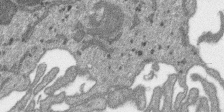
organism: Human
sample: Lung epithelial cells infected with SARS-CoV-2